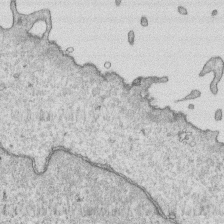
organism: Human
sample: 1205lu cells